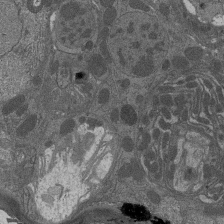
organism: Drosophila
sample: Antenna